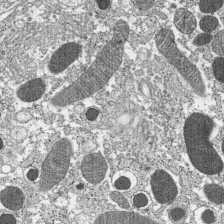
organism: C57BL Mouse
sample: Pancreatic islet